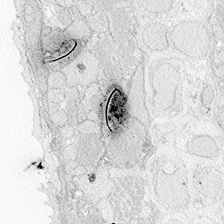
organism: Zebrafish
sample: Whole-Brain